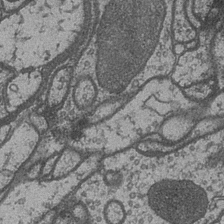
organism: Drosophila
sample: Optic medulla